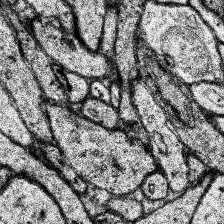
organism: Human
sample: Temporal Lobe